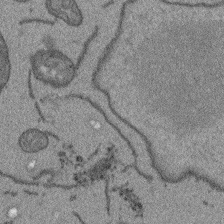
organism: Arabidopsis thaliana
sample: Root tip